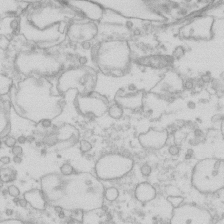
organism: Human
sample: Fibroblast cells